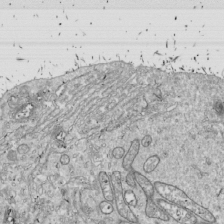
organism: Drosophila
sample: Cell division; meiosis; drosophila spermatocytes